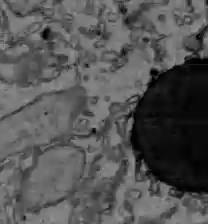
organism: C57BL Mouse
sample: Liver